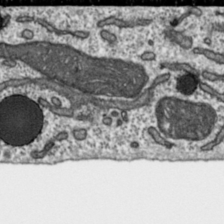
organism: Toxoplasma gondii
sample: Parasites in a vacuole inside a host cell